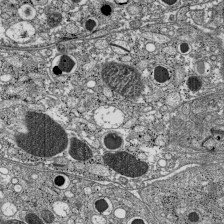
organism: C57BL Mouse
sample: Pancreatic islet